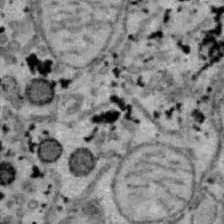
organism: Mouse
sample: Liver from an obese (ob/ob) mouse